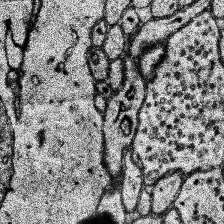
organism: Human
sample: Temporal Lobe